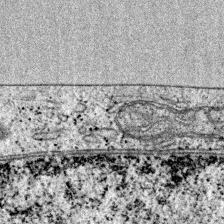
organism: Human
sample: HeLa cells